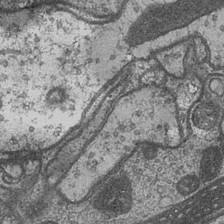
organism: Drosophila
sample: Optic medulla